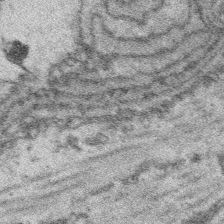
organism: Platynereis dumerilii